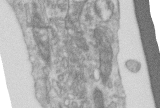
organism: Human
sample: Centriole in RPE cells